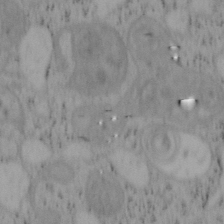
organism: Mouse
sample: OT-I killer T cells with ID8 ovarian cancer cells